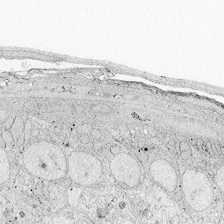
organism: Zebrafish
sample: Whole-Brain